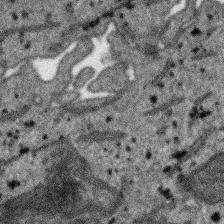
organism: Human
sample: Lung epithelial cells infected with SARS-CoV-2